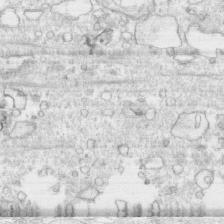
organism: Human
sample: CRL-1474